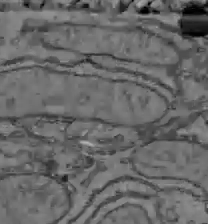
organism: C57BL Mouse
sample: Liver